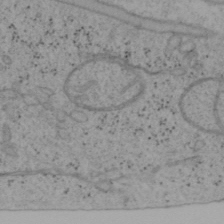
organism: Human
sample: HeLa cells